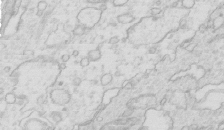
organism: Mouse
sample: Multiciliated cells